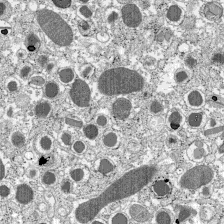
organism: C57BL Mouse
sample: Pancreatic islet